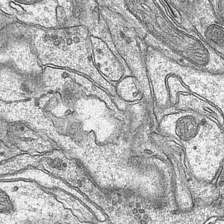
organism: Mouse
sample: CA1 Hippocampus